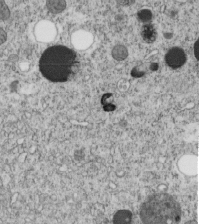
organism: C. elegans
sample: C. elegans embryo early stage